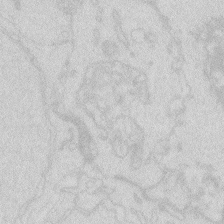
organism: Zebrafish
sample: Macrophage